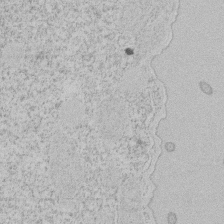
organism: Tetrahymena